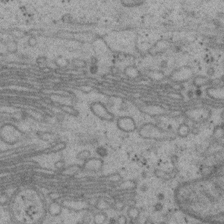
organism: Human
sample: HeLa cells